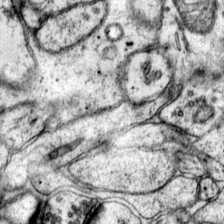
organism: Mouse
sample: Primary visual cortex